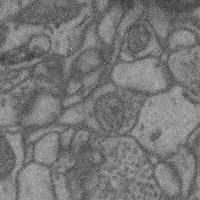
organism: Mouse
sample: Cerebral cortex